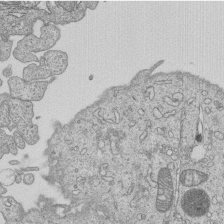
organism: Human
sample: MDA-MB-231 cells